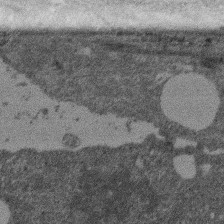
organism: Mouse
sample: Dividing mouse embryo 1 cell stage